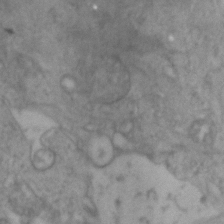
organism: Zebrafish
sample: Zebrafish embryo